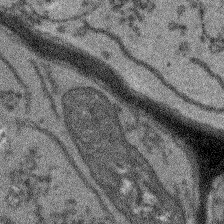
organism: Arabidopsis thaliana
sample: Root tip